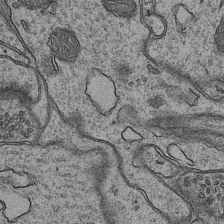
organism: Mouse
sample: CA1 Hippocampus